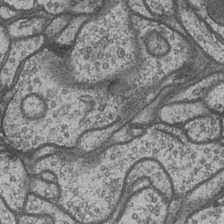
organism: Drosophila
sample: Optic medulla